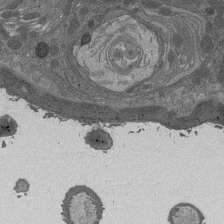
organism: Drosophila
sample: Antenna